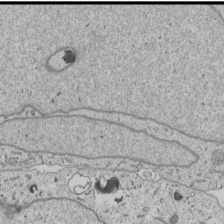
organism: Human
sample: Mitochondria in U2OS cells